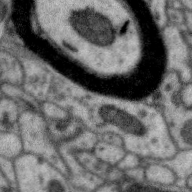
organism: Zebra finch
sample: Brain